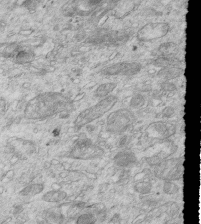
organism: Mouse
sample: Multiciliated cells